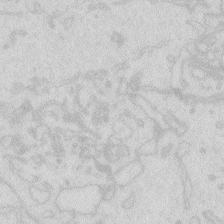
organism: Zebrafish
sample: Macrophage